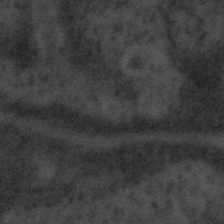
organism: Tuwongella immobilis